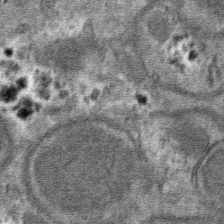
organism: Mouse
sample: Mouse hepatocytes